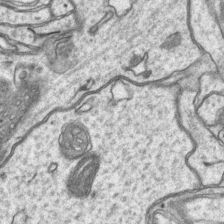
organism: Mouse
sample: CA1 Hippocampus